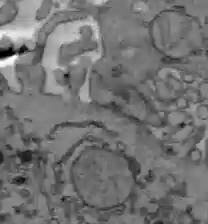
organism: C57BL Mouse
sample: Liver